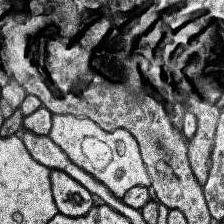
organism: Human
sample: Temporal Lobe